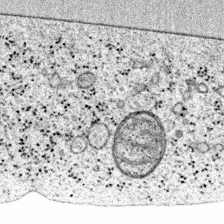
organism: Human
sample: HeLa cells